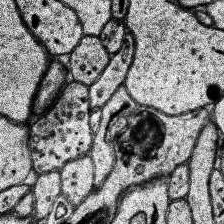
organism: Human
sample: Temporal Lobe